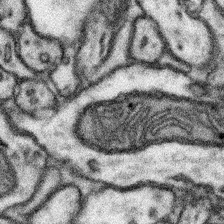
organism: Mouse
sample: Somatosensory cortex neuropil